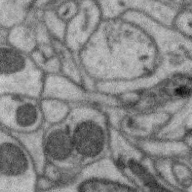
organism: Zebra finch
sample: Brain